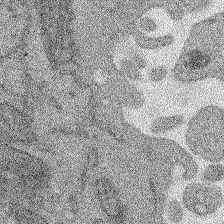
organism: Human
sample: HeLa cells